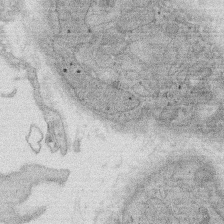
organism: Rat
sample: Salivary granule